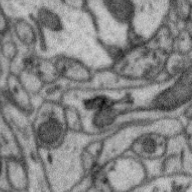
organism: Zebra finch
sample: Brain